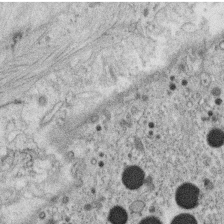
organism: C. elegans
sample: C. elegans oocyte; sperm cells